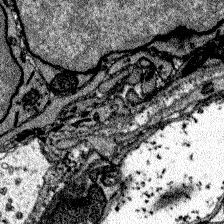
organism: Zebrafish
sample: Larval olfactory bulb